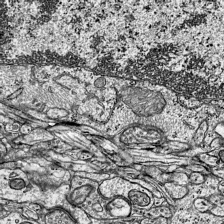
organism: Mouse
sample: Visual Cortex